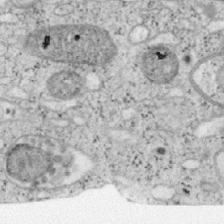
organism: Mouse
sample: OT-I killer T cells with ID8 ovarian cancer cells